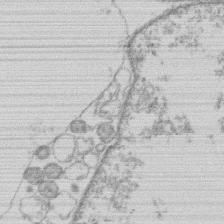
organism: Human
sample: Macrophage cells